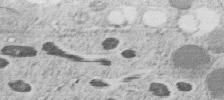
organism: C. elegans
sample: C. elegans embryo early stage